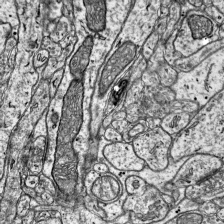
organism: Mouse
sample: Visual Cortex